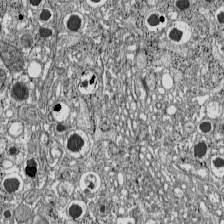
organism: C57BL Mouse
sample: Pancreatic islet